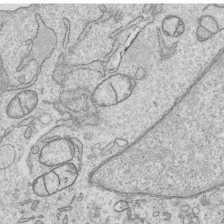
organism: Human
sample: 1205lu cells